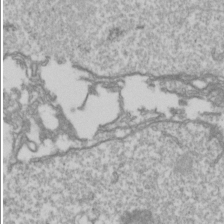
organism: Drosophila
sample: Cell division; meiosis; drosophila spermatocytes